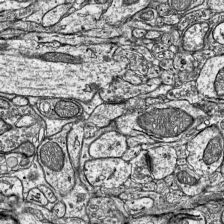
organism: Mouse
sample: Visual Cortex